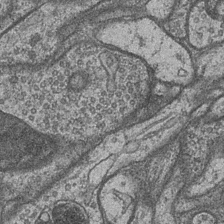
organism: Drosophila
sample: Optic medulla